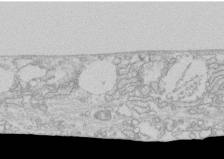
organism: Human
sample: CRL-1474